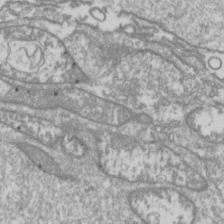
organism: Drosophila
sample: Cell division; meiosis; drosophila spermatocytes